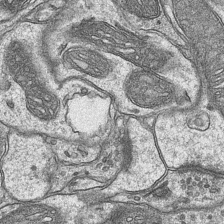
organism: Mouse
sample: CA1 Hippocampus